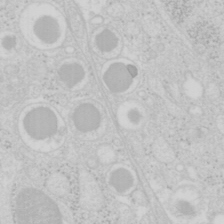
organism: Mouse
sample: Pancreas